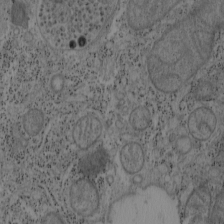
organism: Mouse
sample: OT-I killer T cells with ID8 ovarian cancer cells